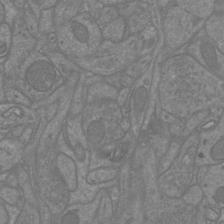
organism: Mouse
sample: Cortical neurons